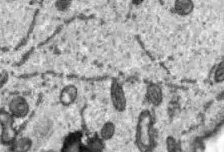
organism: Human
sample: HeLa cells